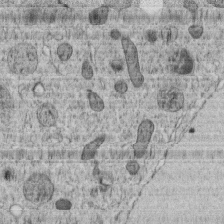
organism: C. elegans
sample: C. elegans embryo early stage